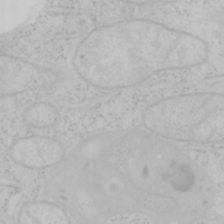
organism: Mouse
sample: OT-I killer T cells with ID8 ovarian cancer cells